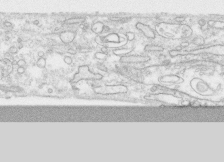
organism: Human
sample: CRL-1474